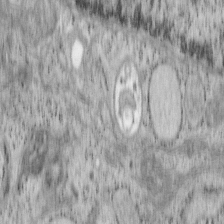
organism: Human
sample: HeLa cells